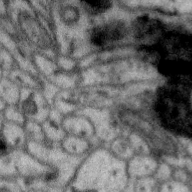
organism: Zebra finch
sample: Brain